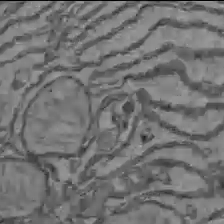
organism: C57BL Mouse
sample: Liver